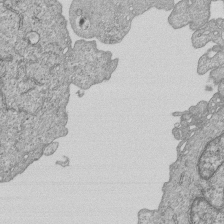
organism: Human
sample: MDA-MB-231 cells